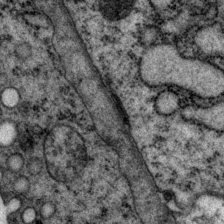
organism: P. pacificus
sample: Pharynx